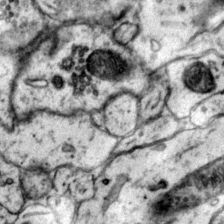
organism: Mouse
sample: Primary visual cortex